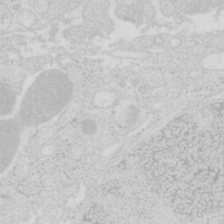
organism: Mouse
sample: Pancreas